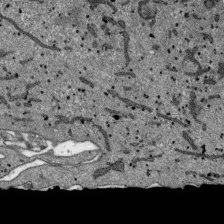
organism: Human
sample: Lung epithelial cells, uninfected (mock) control